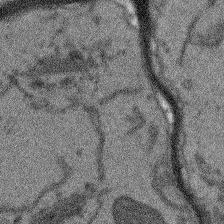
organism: Arabidopsis thaliana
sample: Root tip